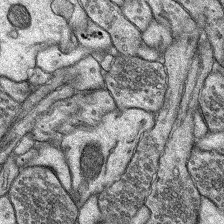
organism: Rat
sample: Hippocampus